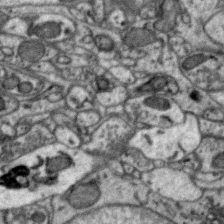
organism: Zebra finch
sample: Brain